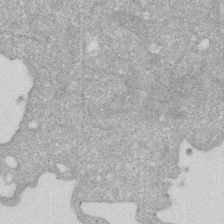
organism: Human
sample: HIV infected U937 cells